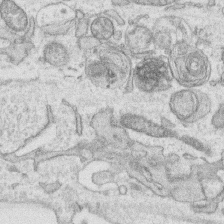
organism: Human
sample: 1205lu cells